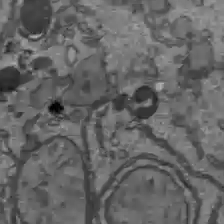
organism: C57BL Mouse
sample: Liver